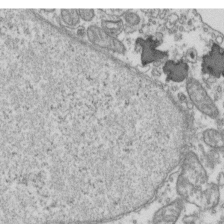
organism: Human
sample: Activated Jurkat CD4+ T cells